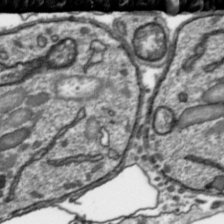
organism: Toxoplasma gondii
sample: Parasites in a vacuole inside a host cell